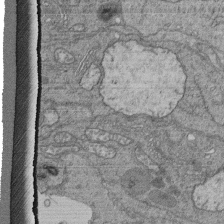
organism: Human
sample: Retinal organoid Rod and Cone cells